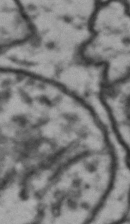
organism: Drosophila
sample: Brain